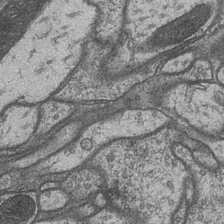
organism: Drosophila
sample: Optic medulla